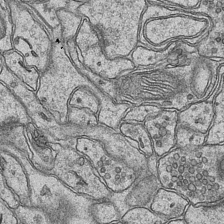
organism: Mouse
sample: CA1 Hippocampus